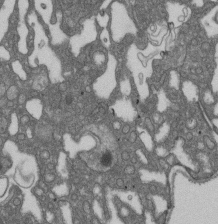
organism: Drosophila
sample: Nephrocyte